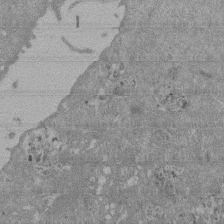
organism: Mouse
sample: ED-1 cell nuclei; centrioles